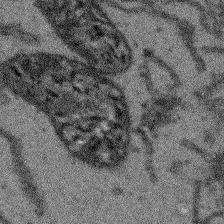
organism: Arabidopsis thaliana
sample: Root tip